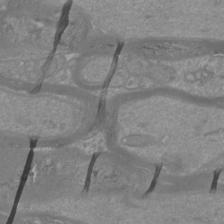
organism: Mouse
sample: Cortical neurons